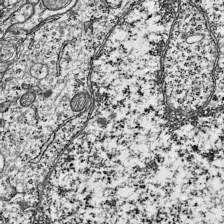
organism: Mouse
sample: Visual Cortex